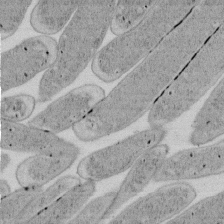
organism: E. coli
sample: Bacterial nucleoid